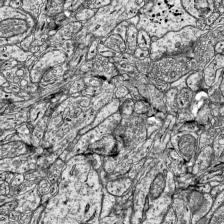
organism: Mouse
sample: Visual Cortex